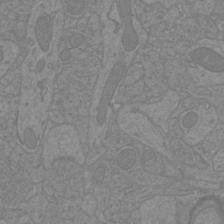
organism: Mouse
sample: Cortical neurons